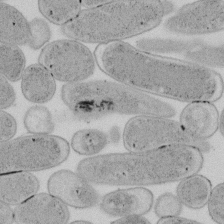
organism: E. coli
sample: Bacterial nucleoid